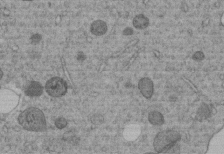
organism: C. elegans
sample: C. elegans embryo early stage